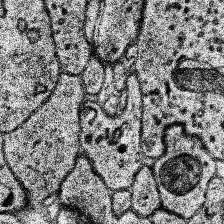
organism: Human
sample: Temporal Lobe